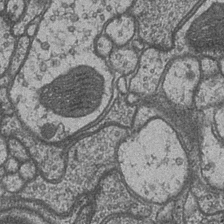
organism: Drosophila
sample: Optic medulla